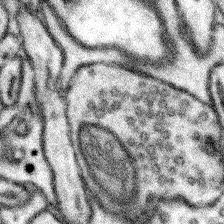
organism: Mouse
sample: Somatosensory cortex neuropil